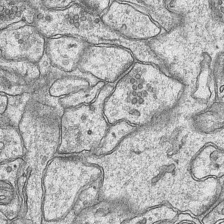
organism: Mouse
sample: CA1 Hippocampus